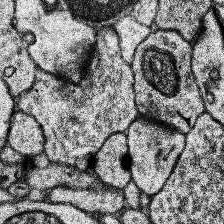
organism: Human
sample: Temporal Lobe